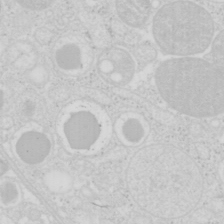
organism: Mouse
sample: Pancreas